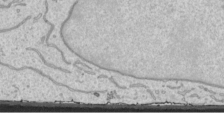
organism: Human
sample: Mitochondria in HCT116 cells